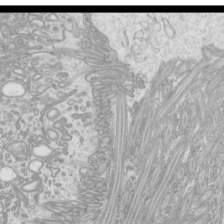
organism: Mouse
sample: Cilia; mouse epididymis